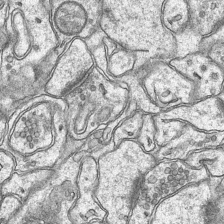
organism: Mouse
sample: CA1 Hippocampus